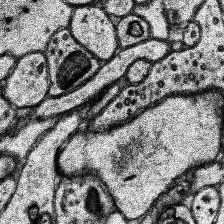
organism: Human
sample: Temporal Lobe